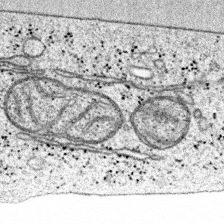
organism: Human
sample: HeLa cells